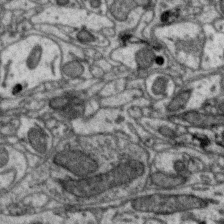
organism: Zebra finch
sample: Brain